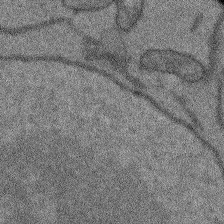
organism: Arabidopsis thaliana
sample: Root tip